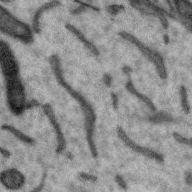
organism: Zebra finch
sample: Brain